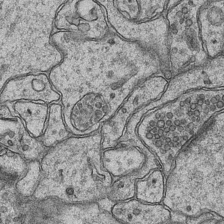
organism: Mouse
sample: CA1 Hippocampus